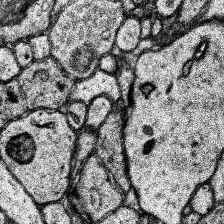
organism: Human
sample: Temporal Lobe